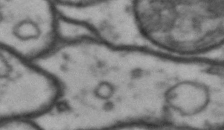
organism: Drosophila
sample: Brain